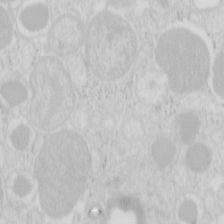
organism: Mouse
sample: Pancreas